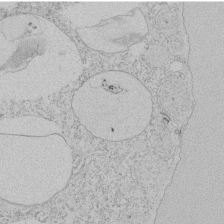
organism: Tetrahymena